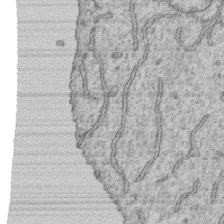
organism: Human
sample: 1205lu cells